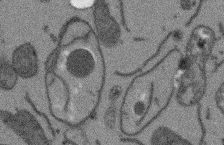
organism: Arabidopsis thaliana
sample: Root tip